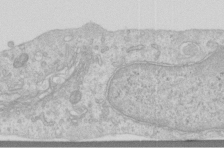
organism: Human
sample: Centriole in RPE cells